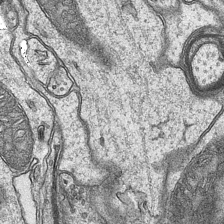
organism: Mouse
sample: CA1 Hippocampus